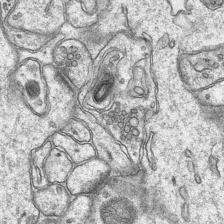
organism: Mouse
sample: CA1 Hippocampus